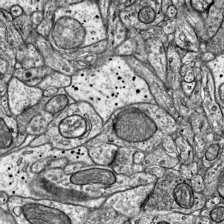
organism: Mouse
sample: Visual Cortex